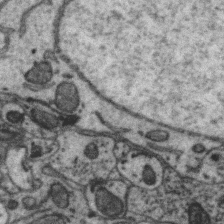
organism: Zebra finch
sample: Brain